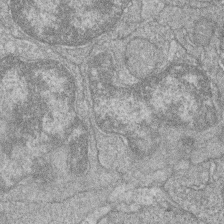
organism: Zebrafish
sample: Cilia; retinal pigment epithelium